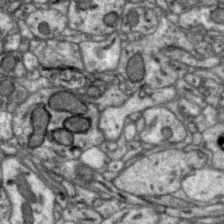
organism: Zebra finch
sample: Brain